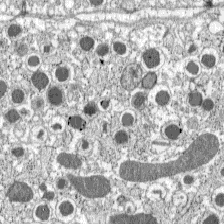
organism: C57BL Mouse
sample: Pancreatic islet